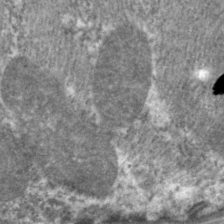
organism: C. elegans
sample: Pharynx